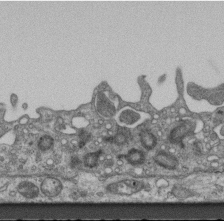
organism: Mouse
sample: Centriole in ependymal cells